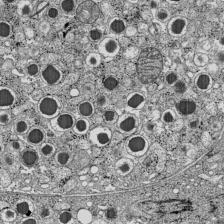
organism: C57BL Mouse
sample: Pancreatic islet